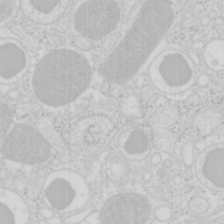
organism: Mouse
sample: Pancreas